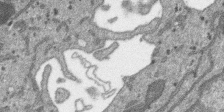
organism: Human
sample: Lung epithelial cells infected with SARS-CoV-2